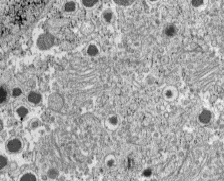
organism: C57BL Mouse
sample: Pancreatic islet